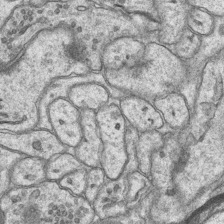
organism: Mouse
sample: CA1 Hippocampus